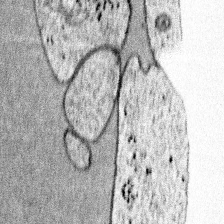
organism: Human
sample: HeLa cells